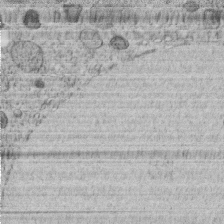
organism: C. elegans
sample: C. elegans embryo early stage